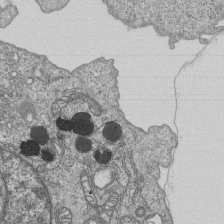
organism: Human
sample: MDA-MB-231 cells